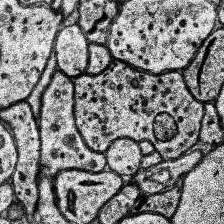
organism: Human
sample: Temporal Lobe